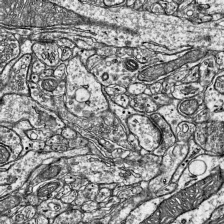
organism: Mouse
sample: Visual Cortex